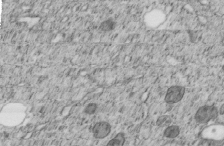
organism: C. elegans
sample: C. elegans embryo early stage